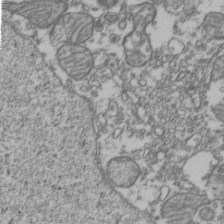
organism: Human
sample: Activated Jurkat CD4+ T cells